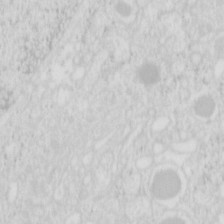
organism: Mouse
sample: Pancreas